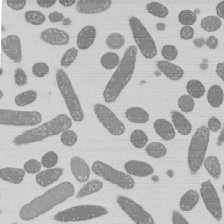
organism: E. coli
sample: Bacterial nucleoid